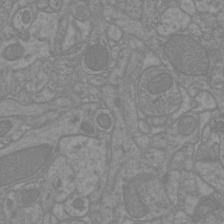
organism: Mouse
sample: Cortical neurons